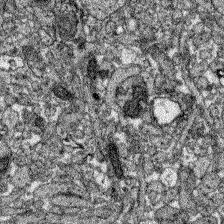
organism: Zebrafish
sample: Larval olfactory bulb